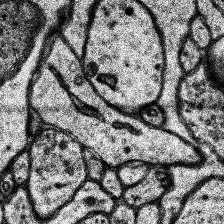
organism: Human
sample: Temporal Lobe